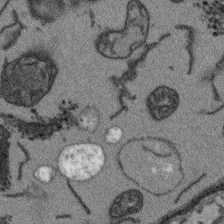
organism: Arabidopsis thaliana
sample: Root tip